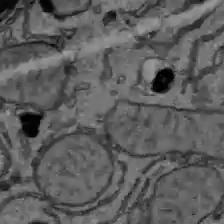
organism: C57BL Mouse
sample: Liver